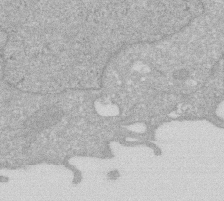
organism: Human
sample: HIV infected U937 cells